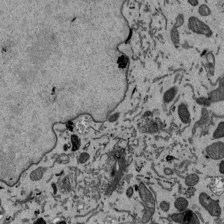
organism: Mouse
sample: ED-1 cell nuclei; centrioles